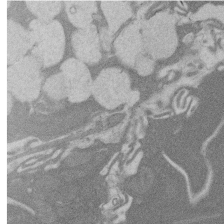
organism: Rat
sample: Salivary granule